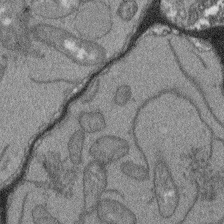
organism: Arabidopsis thaliana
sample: Root tip